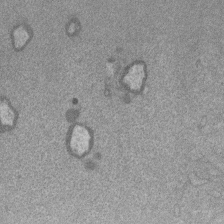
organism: Mouse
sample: Dividing mouse embryo 1 cell stage